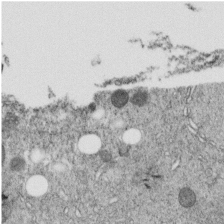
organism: C. elegans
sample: C. elegans embryo early stage